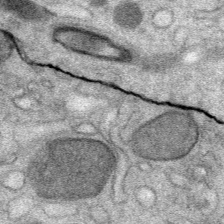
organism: Mouse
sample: Mouse Salivary gland